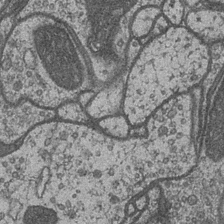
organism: Drosophila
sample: Optic medulla